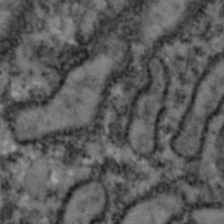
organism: Zebrafish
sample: Zebrafish embryo